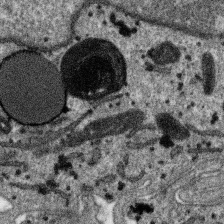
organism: Human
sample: Lung epithelial cells infected with SARS-CoV-2